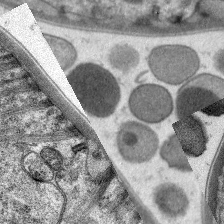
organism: C. elegans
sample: Pharynx